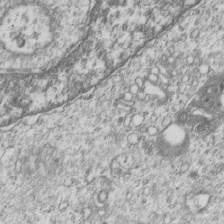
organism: Human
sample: MDA-MB-231 cells